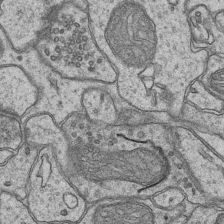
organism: Mouse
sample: CA1 Hippocampus